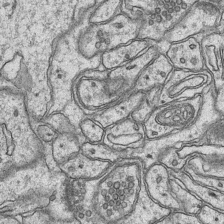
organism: Mouse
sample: CA1 Hippocampus